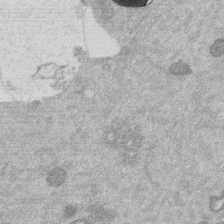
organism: Mouse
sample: Dividing mouse embryo 1 cell stage